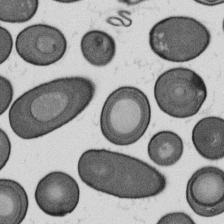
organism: B. subtilis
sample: Bacterial spore